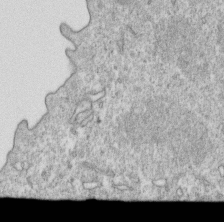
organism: Mouse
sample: Activated OT-1 CD8+ T cells